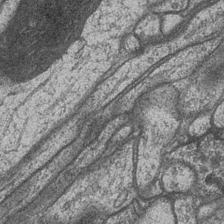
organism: Drosophila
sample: Optic medulla